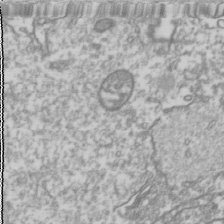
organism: Drosophila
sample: Cell division; meiosis; drosophila spermatocytes